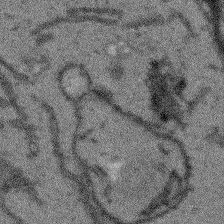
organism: Arabidopsis thaliana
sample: Root tip